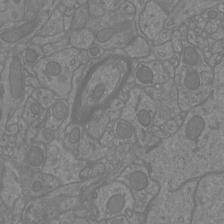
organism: Mouse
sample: Cortical neurons